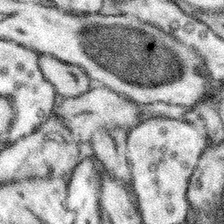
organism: Mouse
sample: Somatosensory cortex neuropil